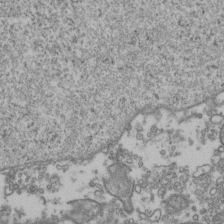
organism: Human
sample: Activated Jurkat CD4+ T cells